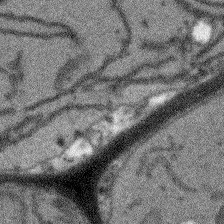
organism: Arabidopsis thaliana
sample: Root tip